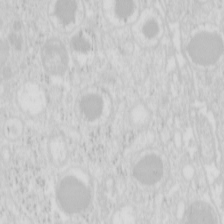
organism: Mouse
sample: Pancreas